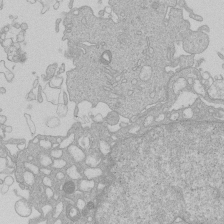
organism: Human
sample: Macrophage cells